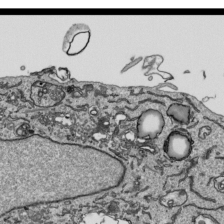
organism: Human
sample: Mitochondria in HCT116 cells